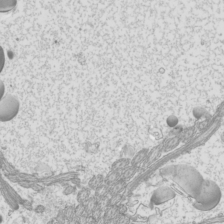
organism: Mouse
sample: Cilia; mouse epididymis